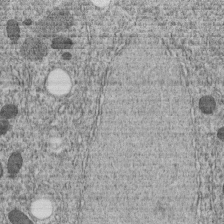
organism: C. elegans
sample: C. elegans embryo early stage